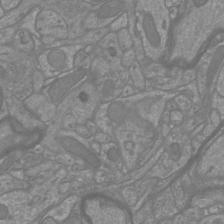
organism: Mouse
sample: Cortical neurons